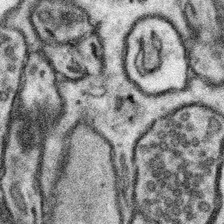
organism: Mouse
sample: Somatosensory cortex neuropil